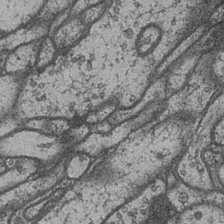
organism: Drosophila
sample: Optic medulla